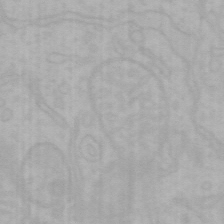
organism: Mouse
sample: Choroid plexus